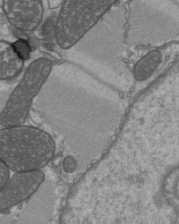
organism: C57BL Mouse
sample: Heart